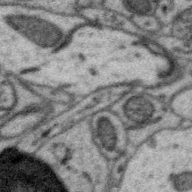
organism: Zebra finch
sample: Brain